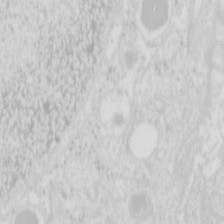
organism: Mouse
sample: Pancreas